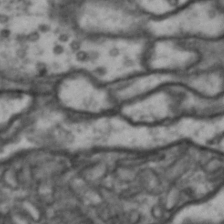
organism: Drosophila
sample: Brain